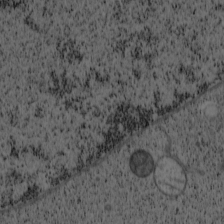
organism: African green monkey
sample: COS-7 cells